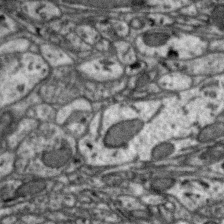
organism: Zebra finch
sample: Brain